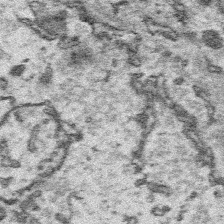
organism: Platynereis dumerilii